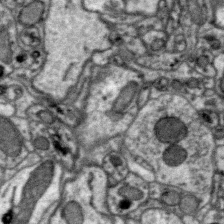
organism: Zebra finch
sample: Brain